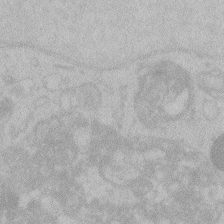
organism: Zebrafish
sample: Macrophage infected with Toxoplasma gondii